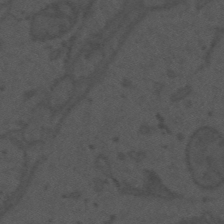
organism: Mouse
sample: Suprachiasmatic nucleus